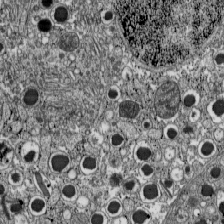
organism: C57BL Mouse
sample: Pancreatic islet